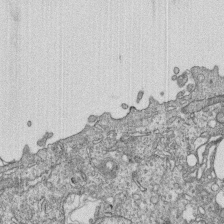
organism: Human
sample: HeLa cell HIV synapse